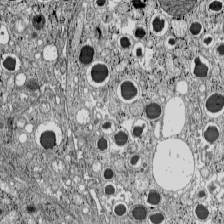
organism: C57BL Mouse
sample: Pancreatic islet